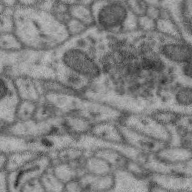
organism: Zebra finch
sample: Brain